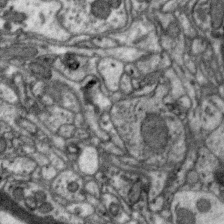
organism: Zebra finch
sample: Brain